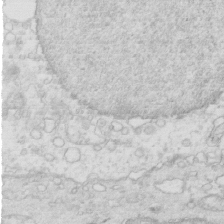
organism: Mouse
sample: Multiciliated cells